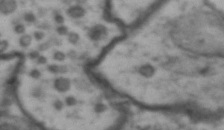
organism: Drosophila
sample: Brain